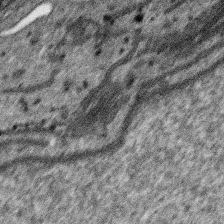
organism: Human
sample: Lung epithelial cells infected with SARS-CoV-2